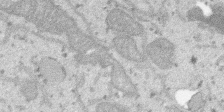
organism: Human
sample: Lung epithelial cells infected with SARS-CoV-2